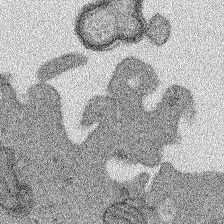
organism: Human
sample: HeLa cells